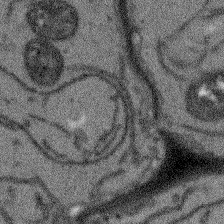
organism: Arabidopsis thaliana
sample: Root tip